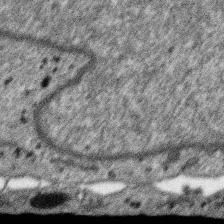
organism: Human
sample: Lung epithelial cells infected with SARS-CoV-2